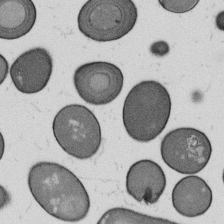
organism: B. subtilis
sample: Bacterial spore